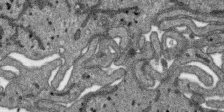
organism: Human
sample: Lung epithelial cells, uninfected (mock) control